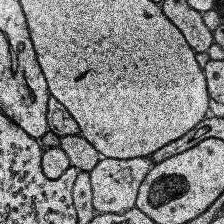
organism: Human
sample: Temporal Lobe